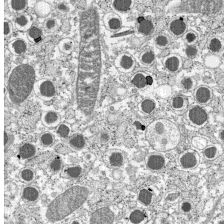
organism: C57BL Mouse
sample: Pancreatic islet